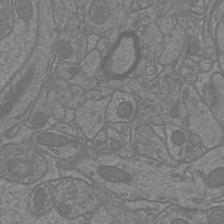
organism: Mouse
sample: Cortical neurons